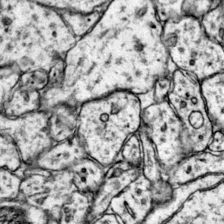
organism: Mouse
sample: Primary visual cortex